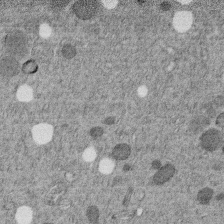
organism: C. elegans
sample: C. elegans embryo early stage